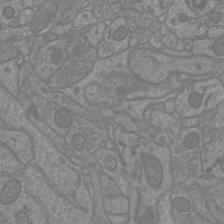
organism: Mouse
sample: Cortical neurons